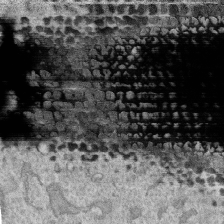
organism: Human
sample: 1205lu cells